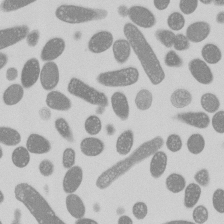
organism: E. coli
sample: Bacterial nucleoid